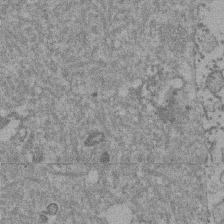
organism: Mouse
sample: Dividing mouse embryo 1 cell stage